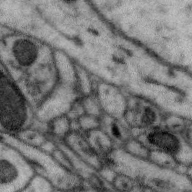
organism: Zebra finch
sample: Brain